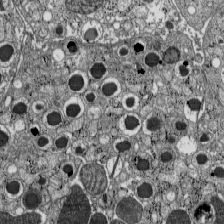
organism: C57BL Mouse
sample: Pancreatic islet